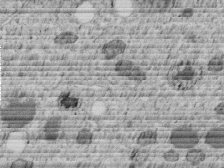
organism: C. elegans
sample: C. elegans embryo early stage